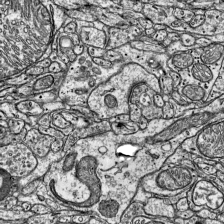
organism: Mouse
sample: Visual Cortex